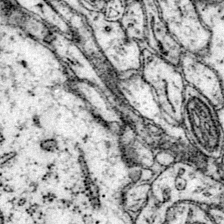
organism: Mouse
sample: Primary visual cortex